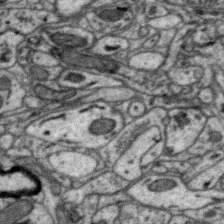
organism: Zebra finch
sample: Brain